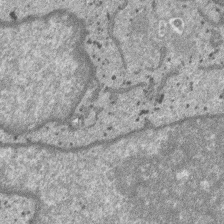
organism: Human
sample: Lung epithelial cells infected with SARS-CoV-2